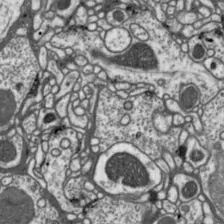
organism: Drosophila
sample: Protocerebral bridge